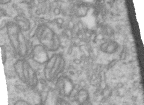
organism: Human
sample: Centriole in RPE cells